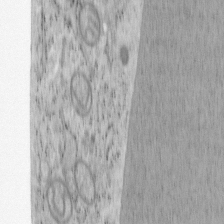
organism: Human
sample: HeLa cells